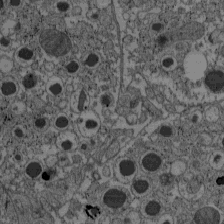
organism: C57BL Mouse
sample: Pancreatic islet